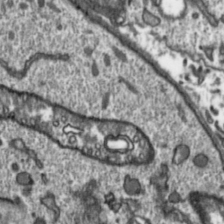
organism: Toxoplasma gondii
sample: Parasites in a vacuole inside a host cell